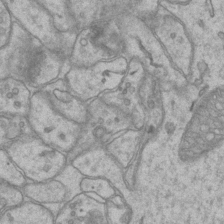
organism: Mouse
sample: CA1 Hippocampus